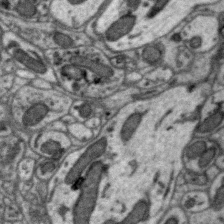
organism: Zebra finch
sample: Brain